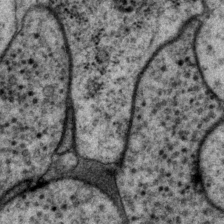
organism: P. pacificus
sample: Pharynx